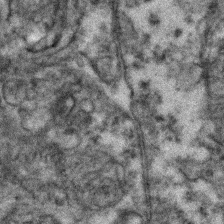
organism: Zebrafish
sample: Zebrafish embryo